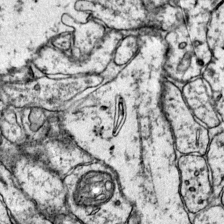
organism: Mouse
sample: Primary visual cortex